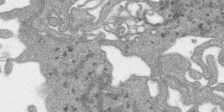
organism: Human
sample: Lung epithelial cells infected with SARS-CoV-2